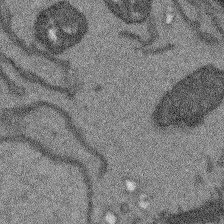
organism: Arabidopsis thaliana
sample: Root tip